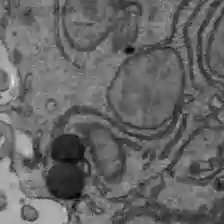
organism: C57BL Mouse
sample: Liver